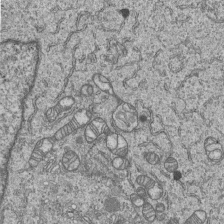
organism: Human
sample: MDA-MB-231 cells